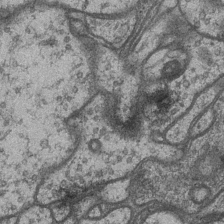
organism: Drosophila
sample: Optic medulla